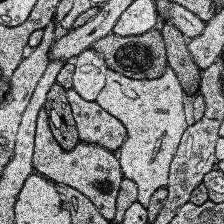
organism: Human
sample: Temporal Lobe